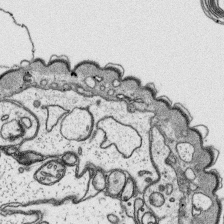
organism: Platynereis dumerilii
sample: Parapodia